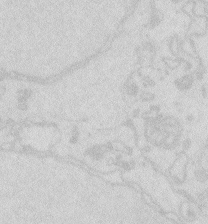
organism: Zebrafish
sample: Macrophage